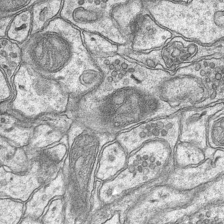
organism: Mouse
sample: CA1 Hippocampus